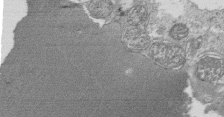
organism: Tetrahymena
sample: Cilia in tetrahymena